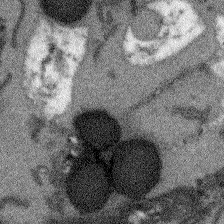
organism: Arabidopsis thaliana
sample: Root tip